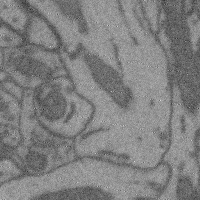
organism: Mouse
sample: Cerebral cortex